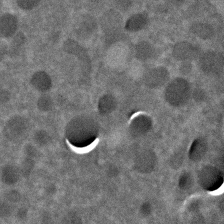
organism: C. elegans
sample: C. elegans embryo